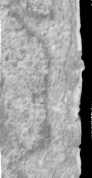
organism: Human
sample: Centriole in RPE cells